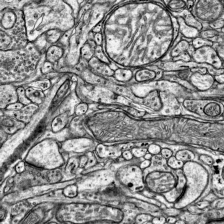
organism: Mouse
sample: Visual Cortex